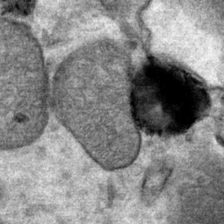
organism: Mouse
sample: Mouse Salivary gland